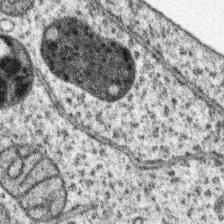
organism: Human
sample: HeLa cells